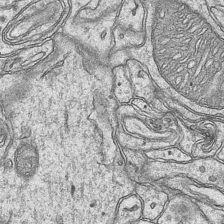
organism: Mouse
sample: CA1 Hippocampus